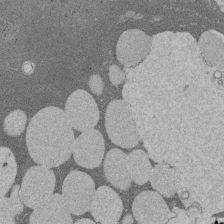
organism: Rat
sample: Salivary granule